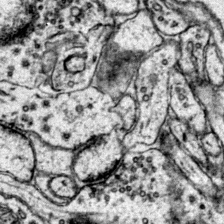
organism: Mouse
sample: Primary visual cortex